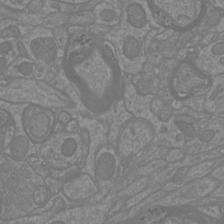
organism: Mouse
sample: Cortical neurons